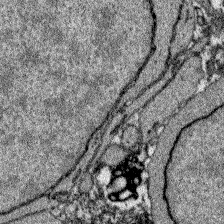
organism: Zebrafish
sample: Larval olfactory bulb